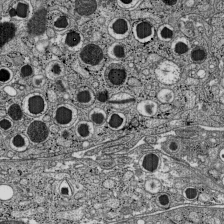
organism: C57BL Mouse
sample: Pancreatic islet